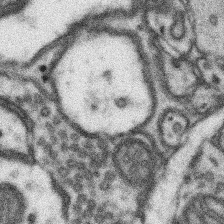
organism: Mouse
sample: Somatosensory cortex neuropil